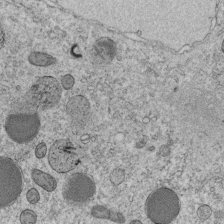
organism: C. elegans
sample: C. elegans embryo early stage